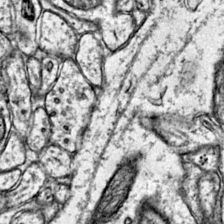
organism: Mouse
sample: Primary visual cortex